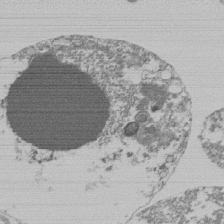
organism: Mouse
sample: Activated Pmel transgenic CD8+ T Cells